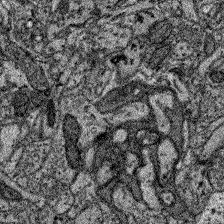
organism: Zebrafish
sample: Larval olfactory bulb